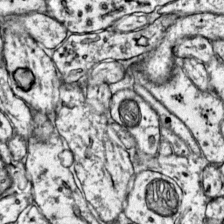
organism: Mouse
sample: Primary visual cortex